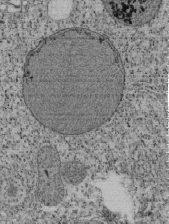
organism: Tetrahymena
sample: Cilia in tetrahymena